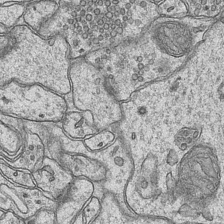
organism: Mouse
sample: CA1 Hippocampus